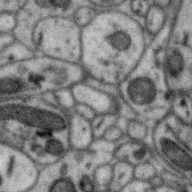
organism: Zebra finch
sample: Brain